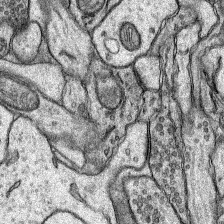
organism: Rat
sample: Hippocampus